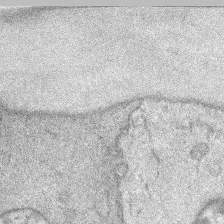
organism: Mouse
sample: Corneal nerves